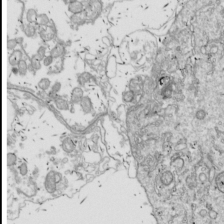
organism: Drosophila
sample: Cell division; meiosis; drosophila spermatocytes